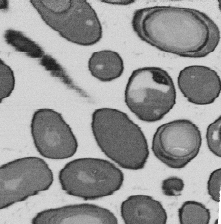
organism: B. subtilis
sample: Bacterial spore